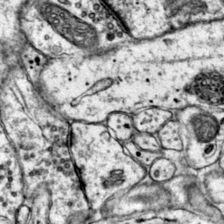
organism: Mouse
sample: Primary visual cortex